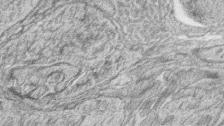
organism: Zebrafish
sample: synaptic ribbons in rod cells and cone cells